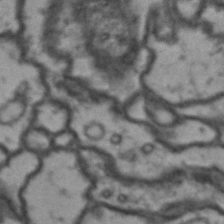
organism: Drosophila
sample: Brain